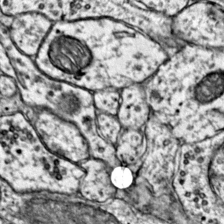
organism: Mouse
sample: Primary visual cortex